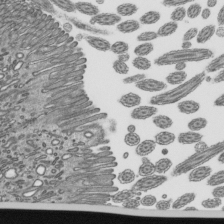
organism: Mouse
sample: Mouse epididymis efferent ductule cilia